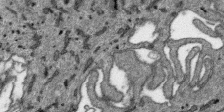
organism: Human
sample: Lung epithelial cells, uninfected (mock) control